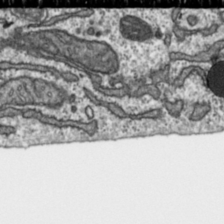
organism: Toxoplasma gondii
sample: Parasites in a vacuole inside a host cell